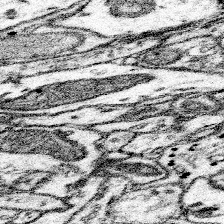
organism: Mouse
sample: Somatosensory cortex neuropil